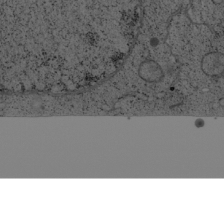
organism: African green monkey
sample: COS-7 cells